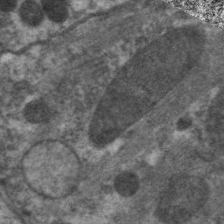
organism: C. elegans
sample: Pharynx